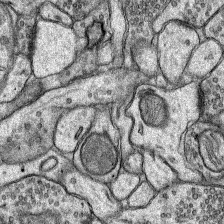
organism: Rat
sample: Hippocampus